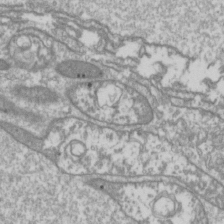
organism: Drosophila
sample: Cell division; meiosis; drosophila spermatocytes